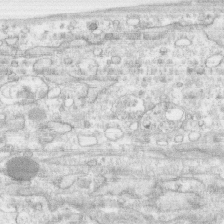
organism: Human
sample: CRL-1474